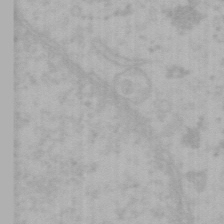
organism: Mouse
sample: Choroid plexus